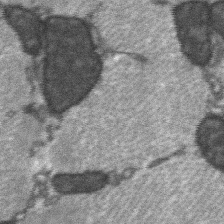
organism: C57BL Mouse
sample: Soleus